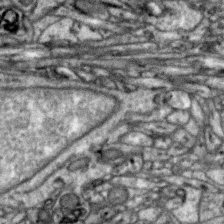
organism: Zebra finch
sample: Brain